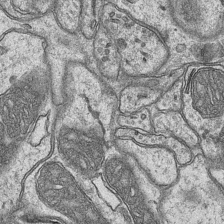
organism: Mouse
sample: CA1 Hippocampus